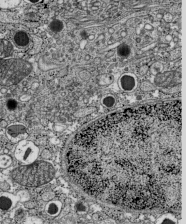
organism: C57BL Mouse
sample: Pancreatic islet